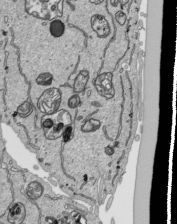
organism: Human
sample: Mitochondria in HCT116 cells